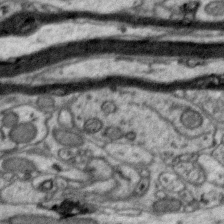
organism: Zebra finch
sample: Brain